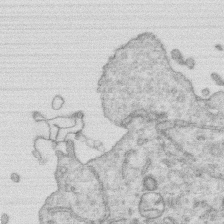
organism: Human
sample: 1205lu cells